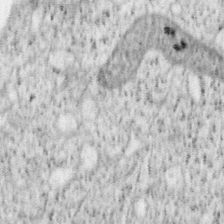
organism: Mouse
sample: OT-I killer T cells with ID8 ovarian cancer cells